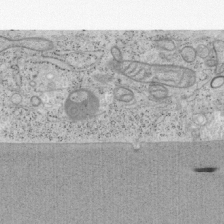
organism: Human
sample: HeLa cells